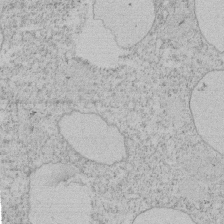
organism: Tetrahymena